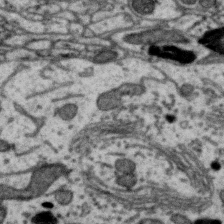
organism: Zebra finch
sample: Brain